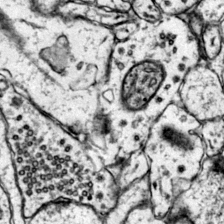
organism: Mouse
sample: Primary visual cortex